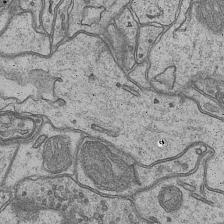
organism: Mouse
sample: CA1 Hippocampus